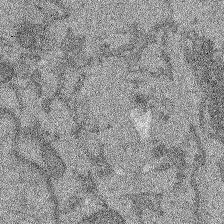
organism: Human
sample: HeLa cells